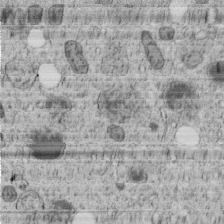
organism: C. elegans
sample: C. elegans embryo early stage